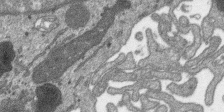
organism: Human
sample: Lung epithelial cells infected with SARS-CoV-2